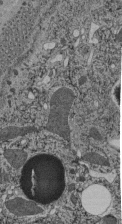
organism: C. elegans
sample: C. elegans pharynx